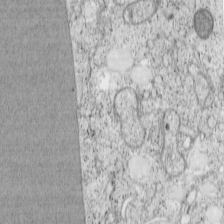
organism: African green monkey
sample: COS-7 cells